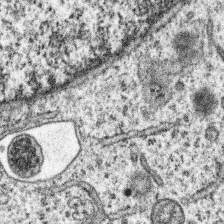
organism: Human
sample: HeLa cells